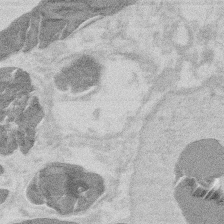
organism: Mouse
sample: T cell stromal cell synapse